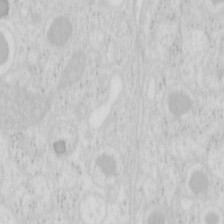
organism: Mouse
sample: Pancreas